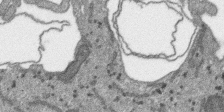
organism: Human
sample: Lung epithelial cells infected with SARS-CoV-2